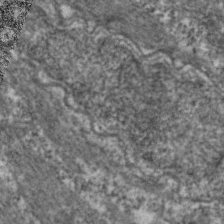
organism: C. elegans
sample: Pharynx